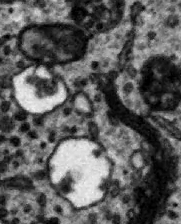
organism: Human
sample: HeLa cells